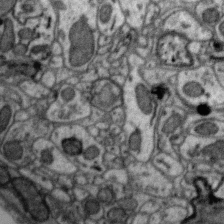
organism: Zebra finch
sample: Brain